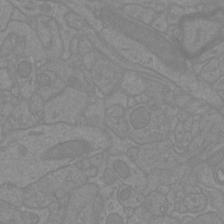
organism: Mouse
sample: Cortical neurons